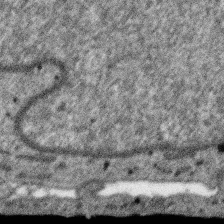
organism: Human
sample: Lung epithelial cells infected with SARS-CoV-2